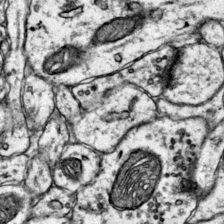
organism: Mouse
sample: Primary visual cortex